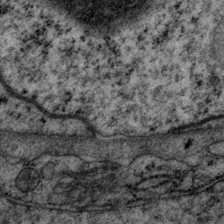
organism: P. pacificus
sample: Pharynx